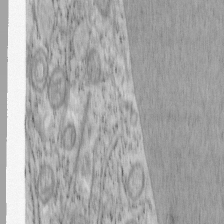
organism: Human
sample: HeLa cells